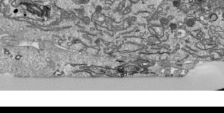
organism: Human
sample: Mitochondria in HCT116 cells